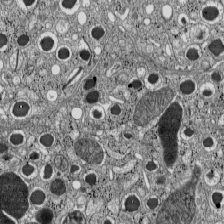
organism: C57BL Mouse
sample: Pancreatic islet